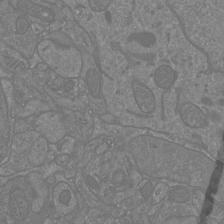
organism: Mouse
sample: Cortical neurons